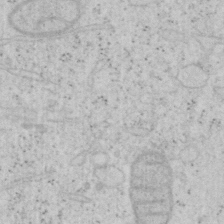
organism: Human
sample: HeLa cells